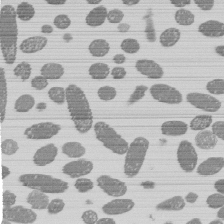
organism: E. coli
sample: Bacterial nucleoid